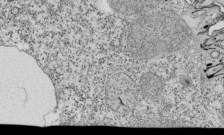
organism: Tetrahymena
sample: Cilia in tetrahymena